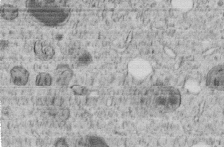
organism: C. elegans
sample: C. elegans embryo early stage